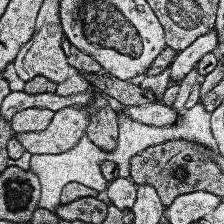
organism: Human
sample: Temporal Lobe